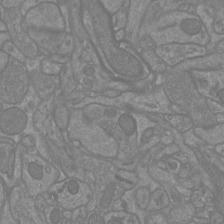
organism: Mouse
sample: Cortical neurons